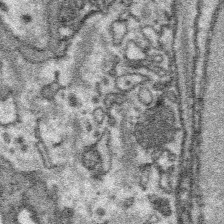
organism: Platynereis dumerilii